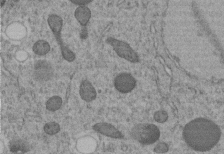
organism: C. elegans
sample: C. elegans embryo early stage